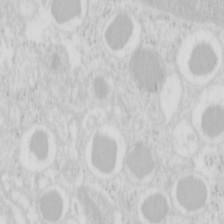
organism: Mouse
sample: Pancreas